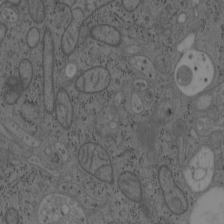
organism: Mouse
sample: OT-I killer T cells with ID8 ovarian cancer cells